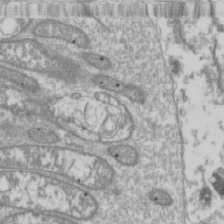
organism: Drosophila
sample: Cell division; meiosis; drosophila spermatocytes